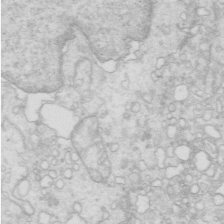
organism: Mouse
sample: Multiciliated cells